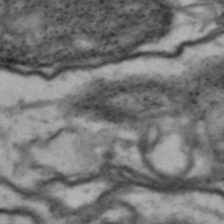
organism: Drosophila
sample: Brain